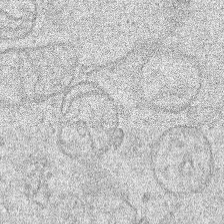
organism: Human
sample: Mitochondria in HCT116 cells